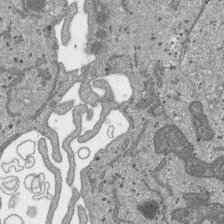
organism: Human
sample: Lung epithelial cells infected with SARS-CoV-2